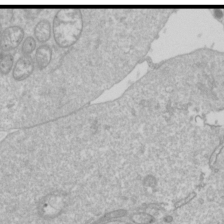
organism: Drosophila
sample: Cell division; meiosis; drosophila spermatocytes